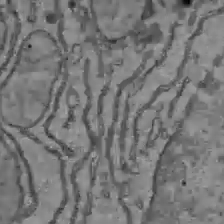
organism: C57BL Mouse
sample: Liver